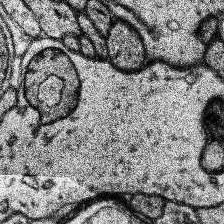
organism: Human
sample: Temporal Lobe